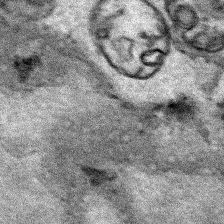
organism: Human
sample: Mitochondria in HCT116 cells